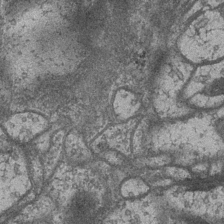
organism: Drosophila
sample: Optic medulla